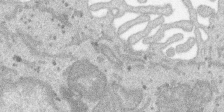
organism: Human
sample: Lung epithelial cells infected with SARS-CoV-2